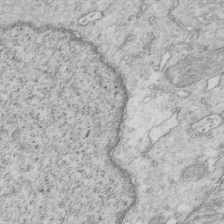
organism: Mouse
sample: Multiciliated cells